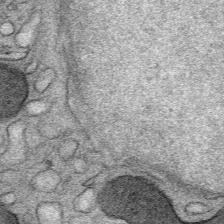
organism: Mouse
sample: Mouse Salivary gland